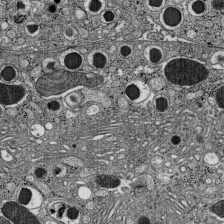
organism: C57BL Mouse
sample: Pancreatic islet